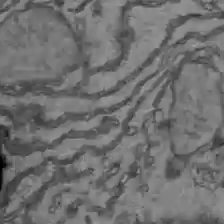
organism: C57BL Mouse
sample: Liver